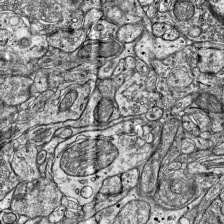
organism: Mouse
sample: Visual Cortex